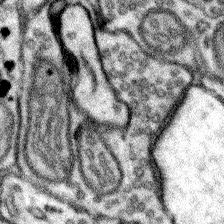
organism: Mouse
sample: Somatosensory cortex neuropil